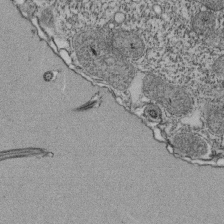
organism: Tetrahymena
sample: Cilia in tetrahymena